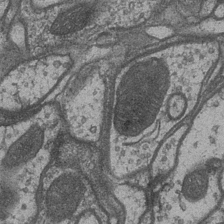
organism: Drosophila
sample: Optic medulla